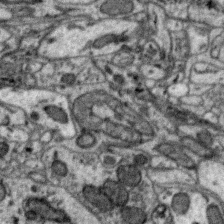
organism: Zebra finch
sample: Brain